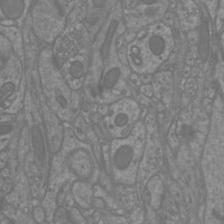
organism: Mouse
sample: Cortical neurons